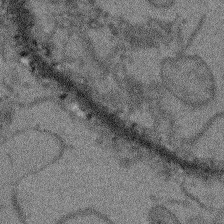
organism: Arabidopsis thaliana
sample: Root tip